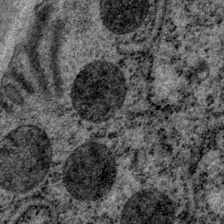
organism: P. pacificus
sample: Pharynx